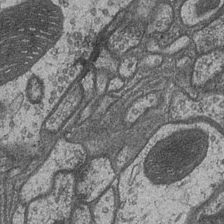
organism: Drosophila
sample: Optic medulla